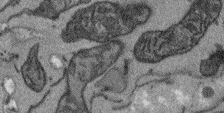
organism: Arabidopsis thaliana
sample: Root tip